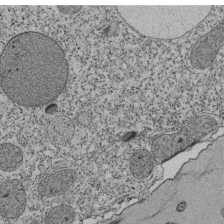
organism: Tetrahymena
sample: Cilia in tetrahymena